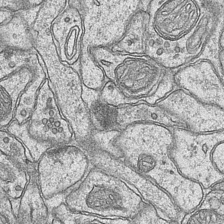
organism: Mouse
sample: CA1 Hippocampus